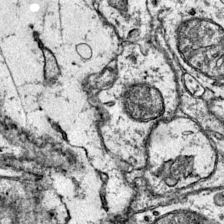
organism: Mouse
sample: Primary visual cortex